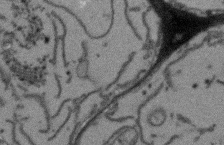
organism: Arabidopsis thaliana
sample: Root tip